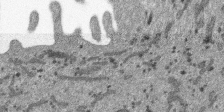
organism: Human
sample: Lung epithelial cells infected with SARS-CoV-2